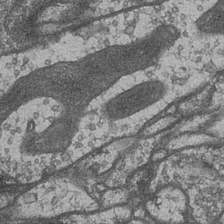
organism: Drosophila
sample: Optic medulla